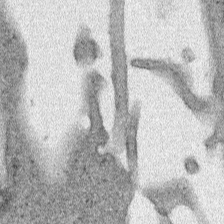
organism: Human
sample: Mitochondria in HCT116 cells